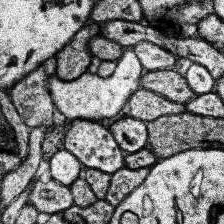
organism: Human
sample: Temporal Lobe